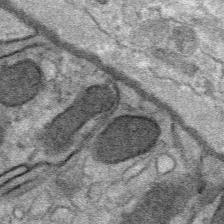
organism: Mouse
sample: Mouse Salivary gland